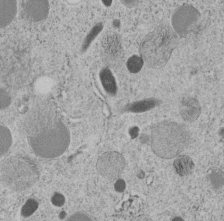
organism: C. elegans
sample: C. elegans embryo early stage